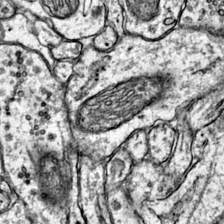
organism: Mouse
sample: Primary visual cortex